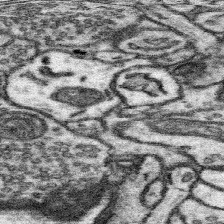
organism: Mouse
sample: Somatosensory cortex neuropil